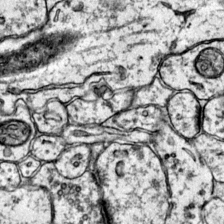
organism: Mouse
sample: Primary visual cortex